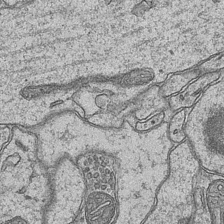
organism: Mouse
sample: CA1 Hippocampus